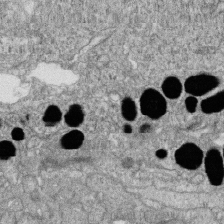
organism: Zebrafish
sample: Cilia; retinal pigment epithelium